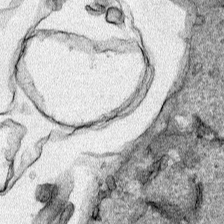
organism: Human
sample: Mitochondria in HCT116 cells